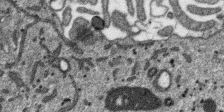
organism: Human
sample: Lung epithelial cells infected with SARS-CoV-2